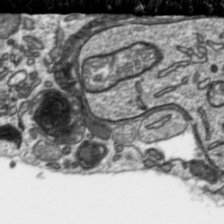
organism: Toxoplasma gondii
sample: Parasites in a vacuole inside a host cell